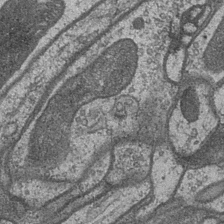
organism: Drosophila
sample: Optic medulla